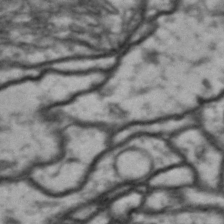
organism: Drosophila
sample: Brain